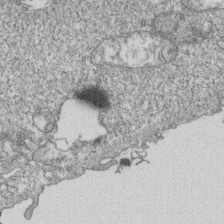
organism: Human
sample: HeLa cell HIV synapse